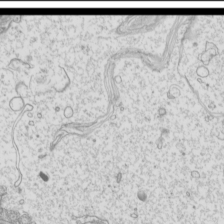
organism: Mouse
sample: Cilia; mouse epididymis